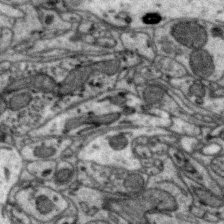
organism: Zebra finch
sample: Brain